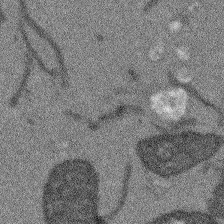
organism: Arabidopsis thaliana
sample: Root tip